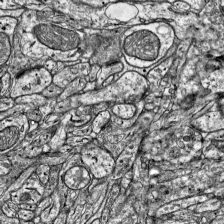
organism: Mouse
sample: Visual Cortex